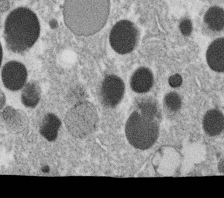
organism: C. elegans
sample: C. elegans oocyte; sperm cells